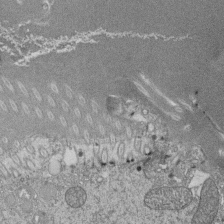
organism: Tetrahymena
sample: Cilia in tetrahymena